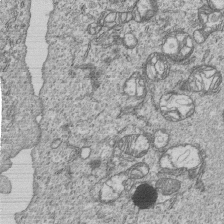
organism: Human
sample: MDA-MB-231 cells